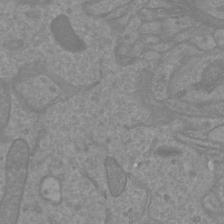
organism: Mouse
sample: Cortical neurons